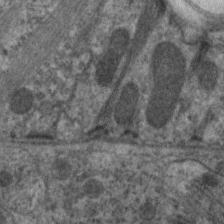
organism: C. elegans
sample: Pharynx